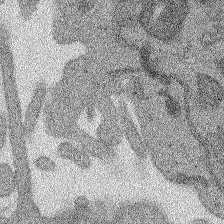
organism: Human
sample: HeLa cells